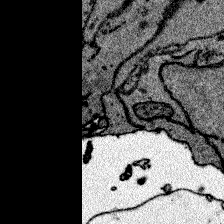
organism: Zebrafish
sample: Larval olfactory bulb